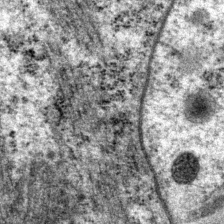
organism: P. pacificus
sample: Pharynx